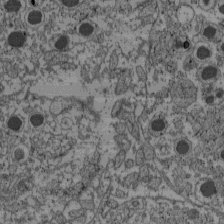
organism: C57BL Mouse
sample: Pancreatic islet